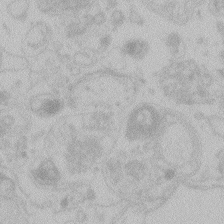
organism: Zebrafish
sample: Macrophage infected with Toxoplasma gondii